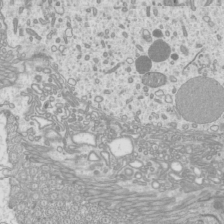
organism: Mouse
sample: Cilia; mouse epididymis